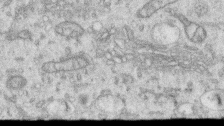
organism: Human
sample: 1205lu cells